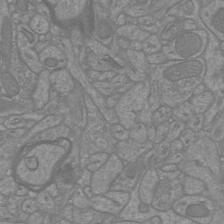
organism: Mouse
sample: Cortical neurons